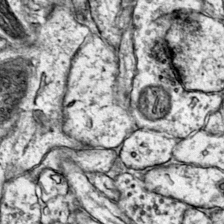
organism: Mouse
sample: Primary visual cortex